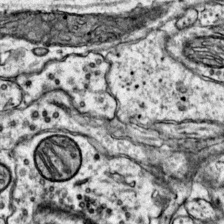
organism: Mouse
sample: Primary visual cortex